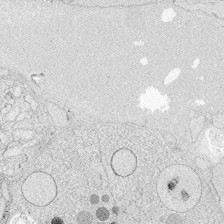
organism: Zebrafish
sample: Whole-Brain